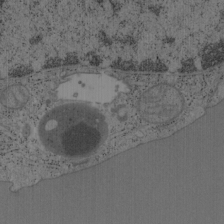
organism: Mouse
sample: OT-I killer T cells with ID8 ovarian cancer cells